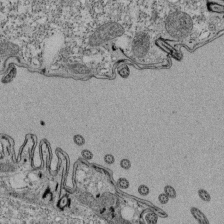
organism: Tetrahymena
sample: Cilia in tetrahymena